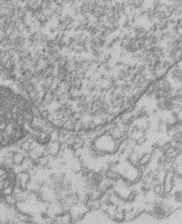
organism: Mouse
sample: T cell stromal cell synapse